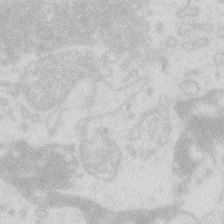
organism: Zebrafish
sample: Macrophage